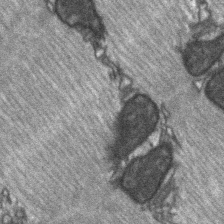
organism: C57BL Mouse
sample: Soleus